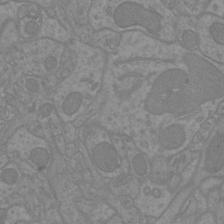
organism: Mouse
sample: Cortical neurons